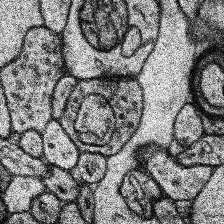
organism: Human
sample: Temporal Lobe